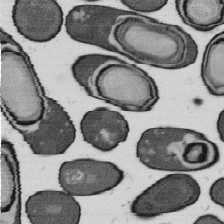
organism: B. subtilis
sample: Bacterial spore